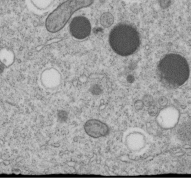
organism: C. elegans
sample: C. elegans embryo early stage